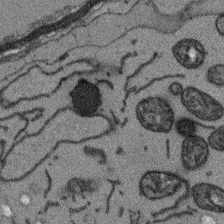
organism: Arabidopsis thaliana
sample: Root tip